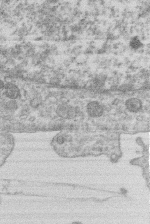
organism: Human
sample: Macrophage cells